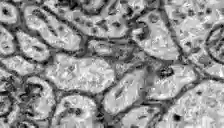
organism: Zebrafish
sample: Brain